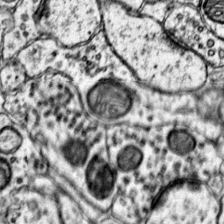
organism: Mouse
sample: Primary visual cortex